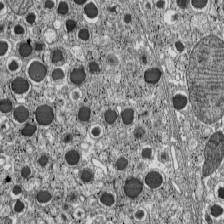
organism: C57BL Mouse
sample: Pancreatic islet